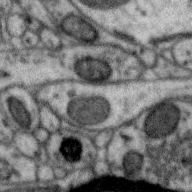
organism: Zebra finch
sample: Brain